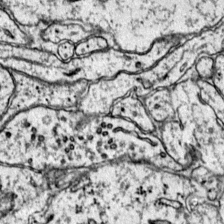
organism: Mouse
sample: Primary visual cortex